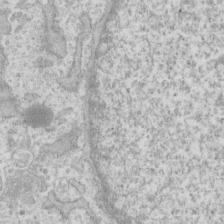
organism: Human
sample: Fibroblast cells